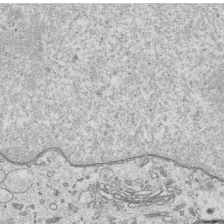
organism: Human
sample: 1205lu cells